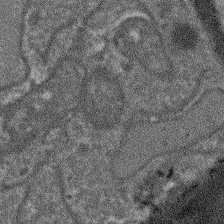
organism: Arabidopsis thaliana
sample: Root tip